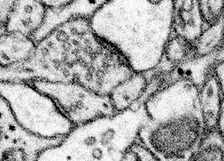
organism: Mouse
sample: Somatosensory cortex neuropil